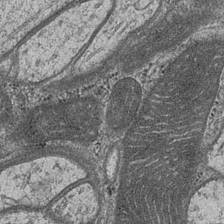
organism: Drosophila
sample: Optic medulla